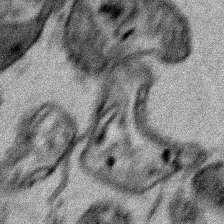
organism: Human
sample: Mitochondria in HCT116 cells